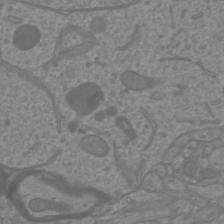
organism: Mouse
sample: Cortical neurons